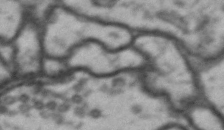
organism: Drosophila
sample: Brain